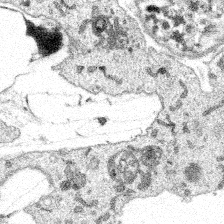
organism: Spongilla lacustris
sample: Multiple